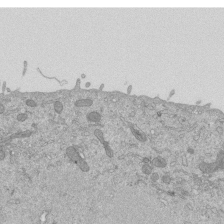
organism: Mouse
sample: ED-1 cell nuclei; centrioles